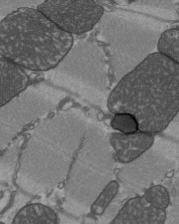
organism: C57BL Mouse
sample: Heart